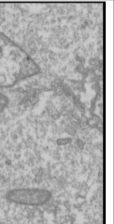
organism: Drosophila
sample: Cell division; meiosis; drosophila spermatocytes